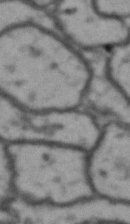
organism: Drosophila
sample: Brain